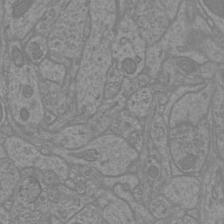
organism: Mouse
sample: Cortical neurons